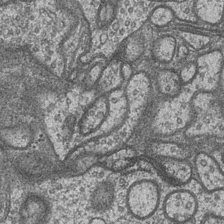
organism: Drosophila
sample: Optic medulla